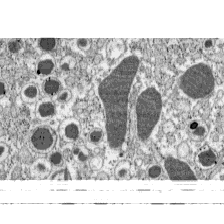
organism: C57BL Mouse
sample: Pancreatic islet